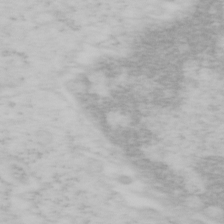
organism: Mouse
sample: OT-I killer T cells with ID8 ovarian cancer cells